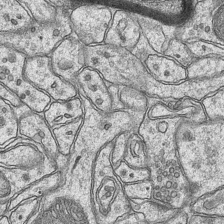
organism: Mouse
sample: CA1 Hippocampus